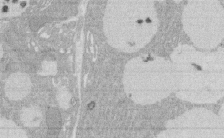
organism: Rat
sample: Salivary granule